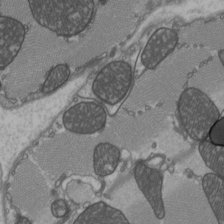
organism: C57BL Mouse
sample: Heart